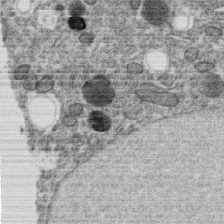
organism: C. elegans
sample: C. elegans oocyte; sperm cells